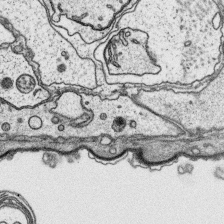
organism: Platynereis dumerilii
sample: Parapodia